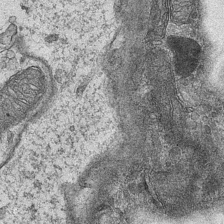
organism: Mouse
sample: CA1 Hippocampus